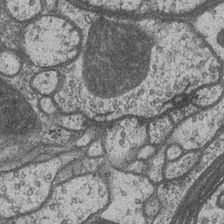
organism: Drosophila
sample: Optic medulla